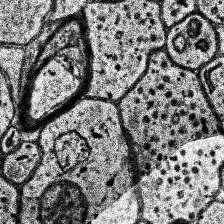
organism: Human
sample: Temporal Lobe